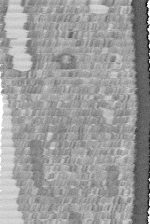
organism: Human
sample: Centriole in fibroblast cells